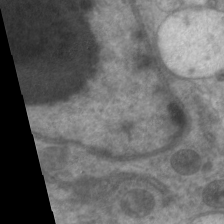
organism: C. elegans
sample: Pharynx